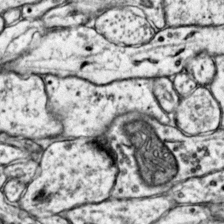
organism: Mouse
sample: Primary visual cortex